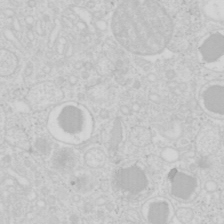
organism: Mouse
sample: Pancreas